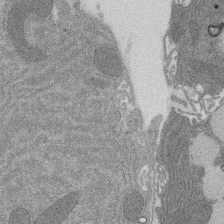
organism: Rat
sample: Salivary granule